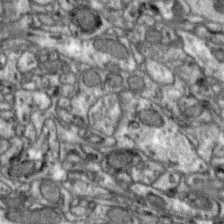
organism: Zebra finch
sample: Brain